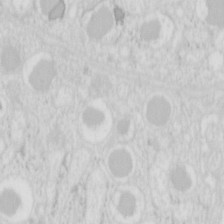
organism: Mouse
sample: Pancreas